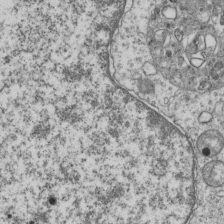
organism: Human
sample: MDA-MB-231 cells